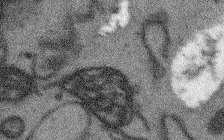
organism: Arabidopsis thaliana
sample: Root tip